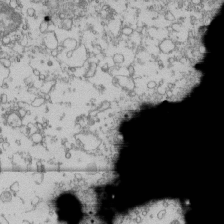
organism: Human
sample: Fibroblast cells